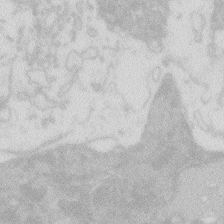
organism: Zebrafish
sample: Macrophage